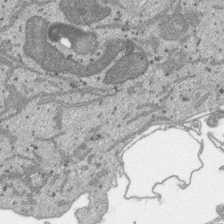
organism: Human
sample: Lung epithelial cells infected with SARS-CoV-2